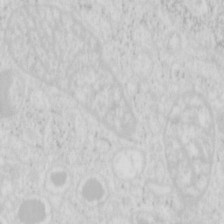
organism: Mouse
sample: Pancreas